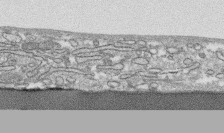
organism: Human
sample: CRL-1474